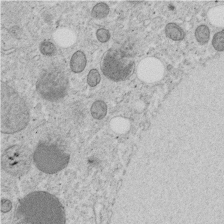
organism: C. elegans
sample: C. elegans embryo early stage